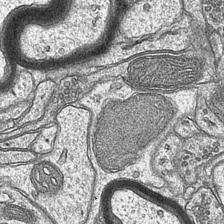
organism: Mouse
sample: CA1 Hippocampus